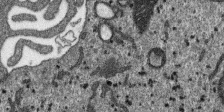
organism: Human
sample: Lung epithelial cells infected with SARS-CoV-2